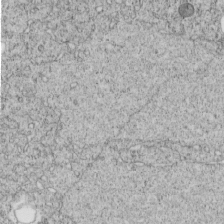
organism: C. elegans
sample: C. elegans embryo early stage